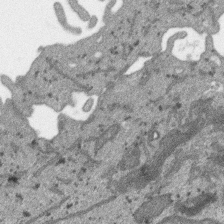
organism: Human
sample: Lung epithelial cells infected with SARS-CoV-2